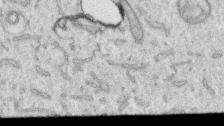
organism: Human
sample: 1205lu cells